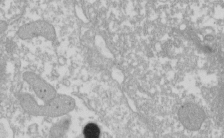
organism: Xenopus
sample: Cilia; centrioles in frog embryo cells